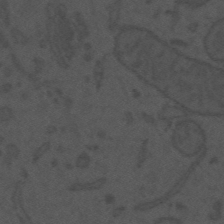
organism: Mouse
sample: Suprachiasmatic nucleus